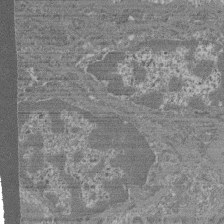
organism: Mouse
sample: Glomerulus